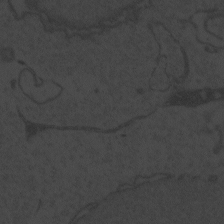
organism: Zebrafish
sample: Macrophage infected with Toxoplasma gondii